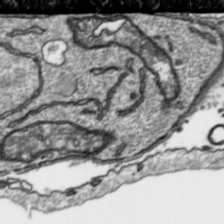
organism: Toxoplasma gondii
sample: Parasites in a vacuole inside a host cell